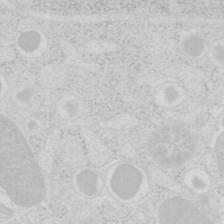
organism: Mouse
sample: Pancreas